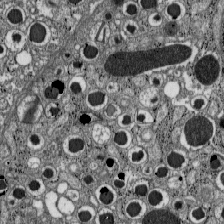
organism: C57BL Mouse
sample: Pancreatic islet